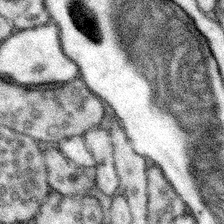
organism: Mouse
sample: Somatosensory cortex neuropil